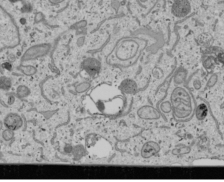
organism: Human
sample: Mitochondria in U2OS cells